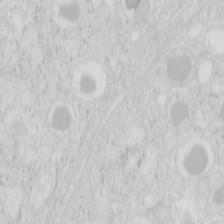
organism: Mouse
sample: Pancreas